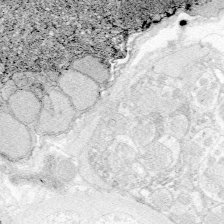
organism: Zebrafish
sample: Whole-Brain